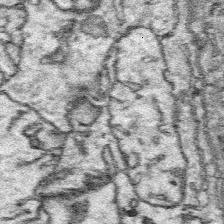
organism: Platynereis dumerilii